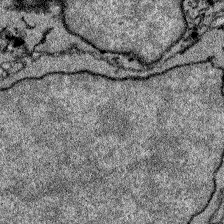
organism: Zebrafish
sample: Larval olfactory bulb